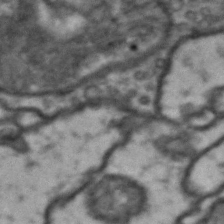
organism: Drosophila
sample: Brain